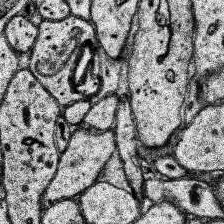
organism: Human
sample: Temporal Lobe